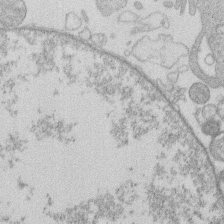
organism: Human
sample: Macrophage cells